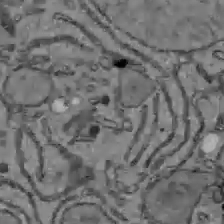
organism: C57BL Mouse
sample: Liver